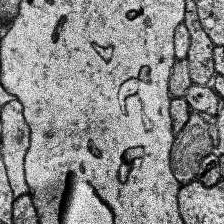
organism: Human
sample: Temporal Lobe